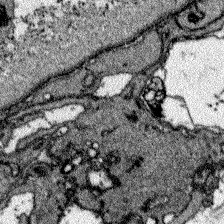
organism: Zebrafish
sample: Larval olfactory bulb